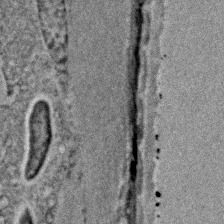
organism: C. elegans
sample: C. elegans embryo